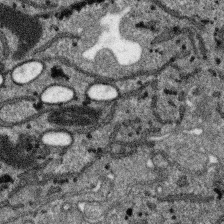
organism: Human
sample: Lung epithelial cells infected with SARS-CoV-2